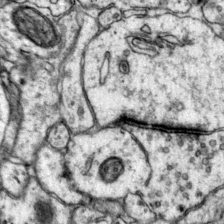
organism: Mouse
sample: Primary visual cortex